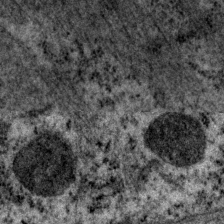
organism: P. pacificus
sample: Pharynx